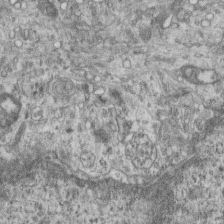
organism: Mouse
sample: Centriole in ependymal cells